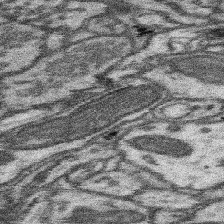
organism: Mouse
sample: Somatosensory cortex neuropil